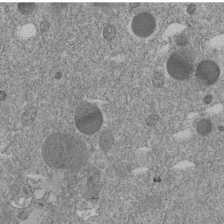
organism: C. elegans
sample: C. elegans embryo early stage